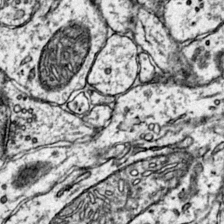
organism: Mouse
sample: Primary visual cortex